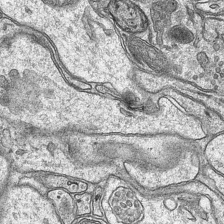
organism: Mouse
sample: CA1 Hippocampus